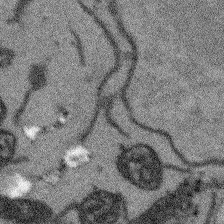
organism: Arabidopsis thaliana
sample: Root tip